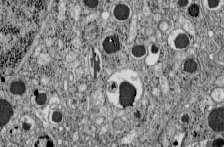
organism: C57BL Mouse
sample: Pancreatic islet